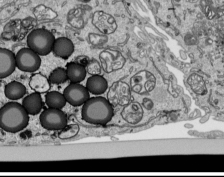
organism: Human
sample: Mitochondria in HCT116 cells